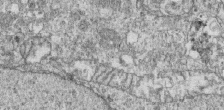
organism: Human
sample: HeLa cell HIV synapse